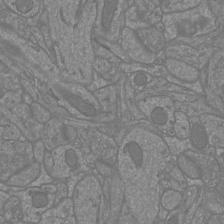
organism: Mouse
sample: Cortical neurons